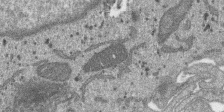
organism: Human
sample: Lung epithelial cells infected with SARS-CoV-2